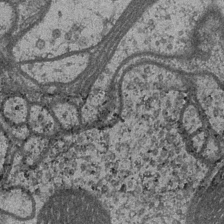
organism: Drosophila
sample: Optic medulla